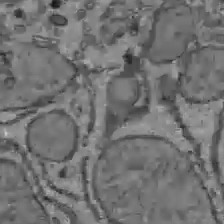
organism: C57BL Mouse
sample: Liver